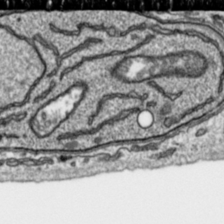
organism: Toxoplasma gondii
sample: Parasites in a vacuole inside a host cell